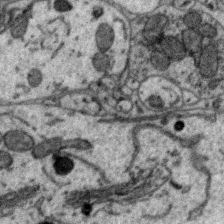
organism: Zebra finch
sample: Brain